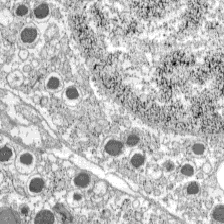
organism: C57BL Mouse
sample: Pancreatic islet